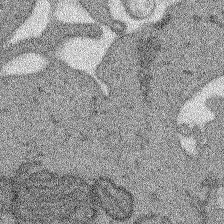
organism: Human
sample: HeLa cells